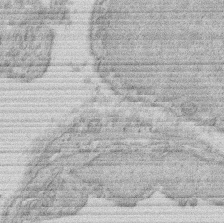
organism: Rat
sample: Salivary granule